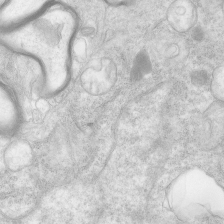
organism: Human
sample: Neocortex